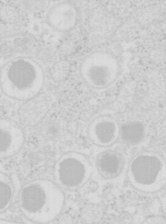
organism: Mouse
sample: Pancreas